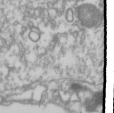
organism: Drosophila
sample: Cell division; meiosis; drosophila spermatocytes